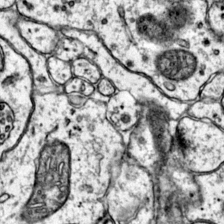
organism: Mouse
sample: Primary visual cortex